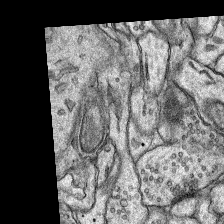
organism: Rat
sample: Hippocampus